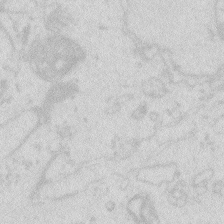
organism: Zebrafish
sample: Macrophage